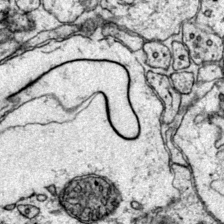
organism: Mouse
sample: Primary visual cortex